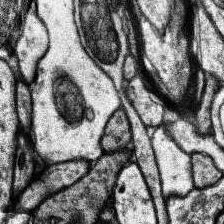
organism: Human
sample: Temporal Lobe